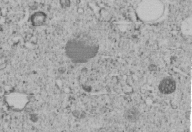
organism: C. elegans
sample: C. elegans embryo early stage